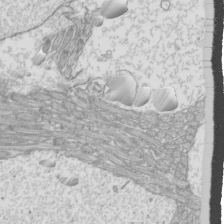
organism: Mouse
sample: Cilia; mouse epididymis